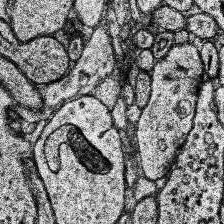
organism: Human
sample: Temporal Lobe